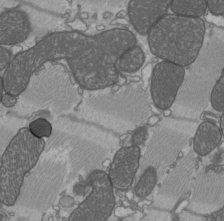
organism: C57BL Mouse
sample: Heart